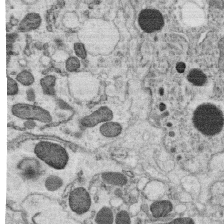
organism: C. elegans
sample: C. elegans oocyte; sperm cells